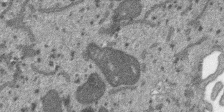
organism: Human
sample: Lung epithelial cells infected with SARS-CoV-2